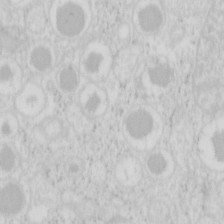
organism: Mouse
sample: Pancreas